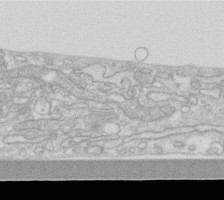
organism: Human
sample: Fibroblast cells